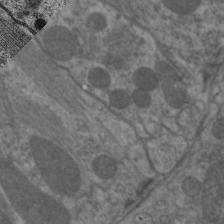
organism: C. elegans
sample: Pharynx